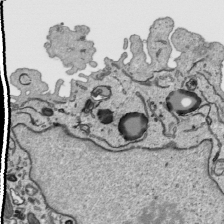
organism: Human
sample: Mitochondria in HCT116 cells